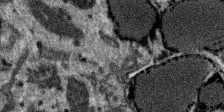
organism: Human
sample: Lung epithelial cells infected with SARS-CoV-2